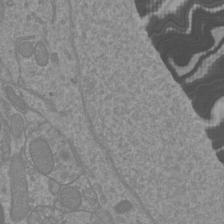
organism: Mouse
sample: Cortical neurons